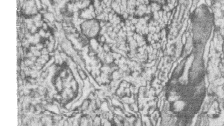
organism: Zebrafish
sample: synaptic ribbons in rod cells and cone cells